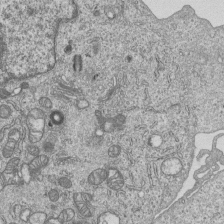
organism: Human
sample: MDA-MB-231 cells